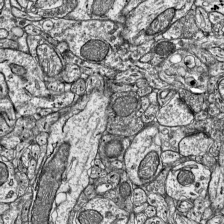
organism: Mouse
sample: Visual Cortex